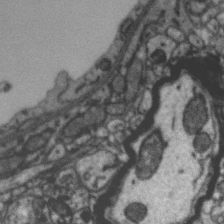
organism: Zebra finch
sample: Brain